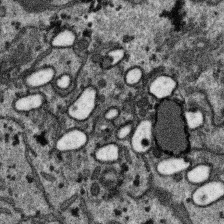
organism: Human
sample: Lung epithelial cells infected with SARS-CoV-2